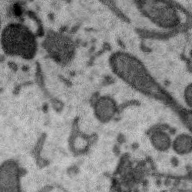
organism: Zebra finch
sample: Brain